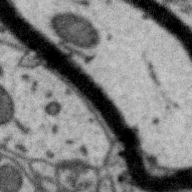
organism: Zebra finch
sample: Brain